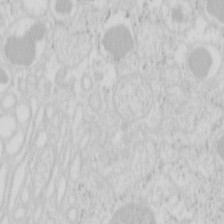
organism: Mouse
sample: Pancreas